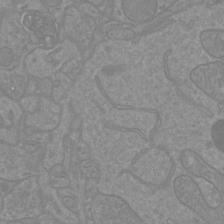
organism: Mouse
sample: Cortical neurons